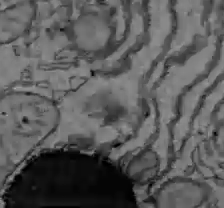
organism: C57BL Mouse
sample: Liver